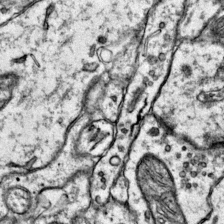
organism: Mouse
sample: Primary visual cortex